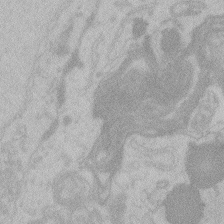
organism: Zebrafish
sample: Macrophage infected with Toxoplasma gondii